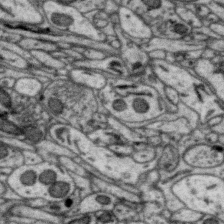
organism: Zebra finch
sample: Brain